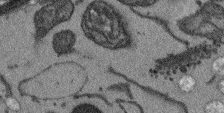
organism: Arabidopsis thaliana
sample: Root tip